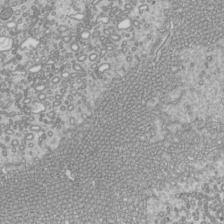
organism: Mouse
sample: Cilia; mouse epididymis